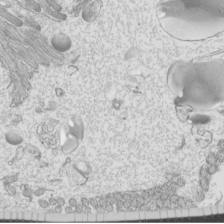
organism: Mouse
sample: Cilia; mouse epididymis